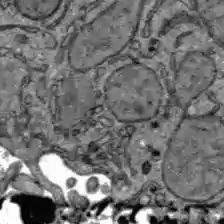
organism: C57BL Mouse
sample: Liver